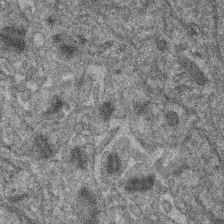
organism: Human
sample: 1205lu cells